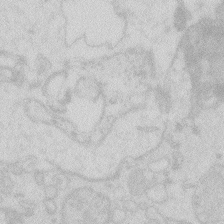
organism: Zebrafish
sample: Macrophage